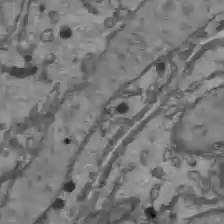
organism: C57BL Mouse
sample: Liver